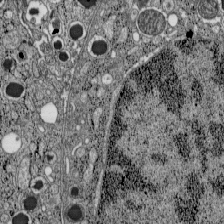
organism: C57BL Mouse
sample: Pancreatic islet